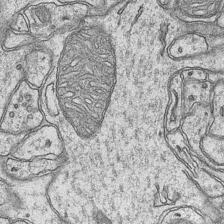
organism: Mouse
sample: CA1 Hippocampus